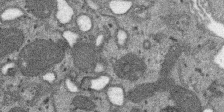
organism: Human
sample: Lung epithelial cells infected with SARS-CoV-2